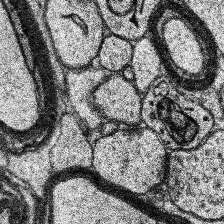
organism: Human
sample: Temporal Lobe